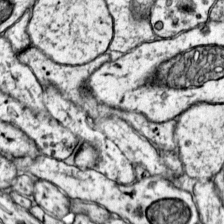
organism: Mouse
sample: Primary visual cortex